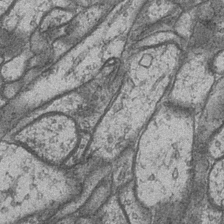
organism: Drosophila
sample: Optic medulla